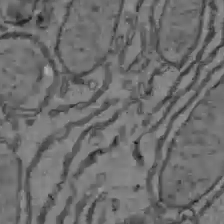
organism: C57BL Mouse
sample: Liver